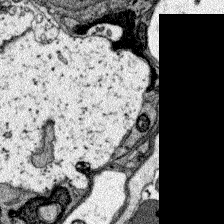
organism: Zebrafish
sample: Larval olfactory bulb